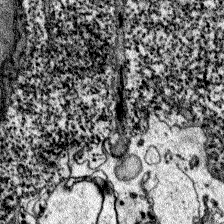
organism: Zebrafish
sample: Larval olfactory bulb